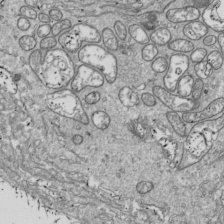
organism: Drosophila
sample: Cell division; meiosis; drosophila spermatocytes